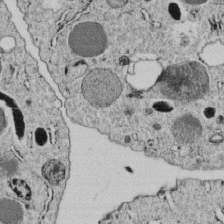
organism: C. elegans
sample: C. elegans embryo early stage